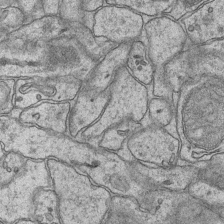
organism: Mouse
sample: CA1 Hippocampus